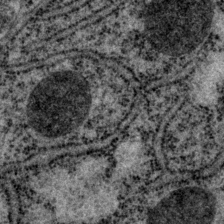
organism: P. pacificus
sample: Pharynx